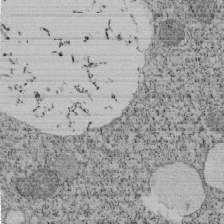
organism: Tetrahymena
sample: Cilia in tetrahymena